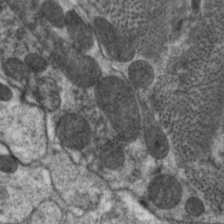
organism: C. elegans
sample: Pharynx